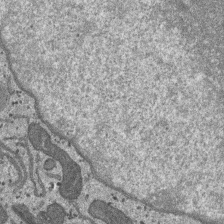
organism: Human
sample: Lung epithelial cells infected with SARS-CoV-2